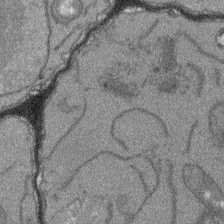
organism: Arabidopsis thaliana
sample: Root tip